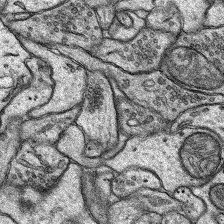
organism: Rat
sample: Hippocampus